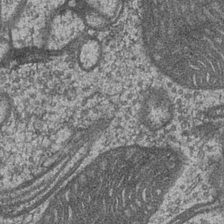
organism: Drosophila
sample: Optic medulla